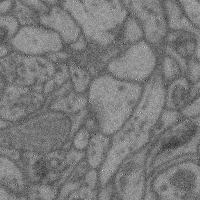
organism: Mouse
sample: Cerebral cortex